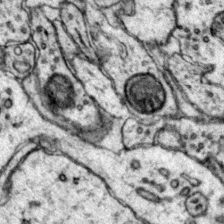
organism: Mouse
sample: Primary visual cortex